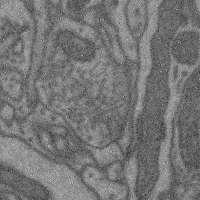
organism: Mouse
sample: Cerebral cortex